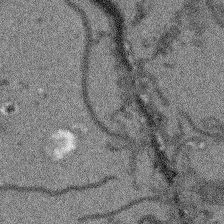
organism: Arabidopsis thaliana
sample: Root tip